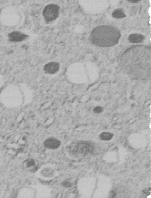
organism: C. elegans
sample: C. elegans embryo early stage